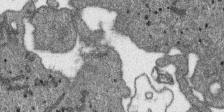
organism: Human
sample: Lung epithelial cells infected with SARS-CoV-2